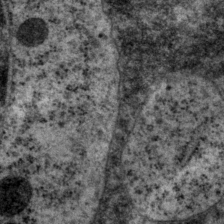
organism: P. pacificus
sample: Pharynx